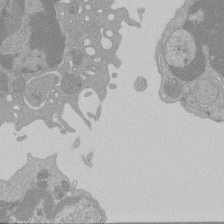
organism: Mouse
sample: Activated Pmel transgenic CD8+ T Cells